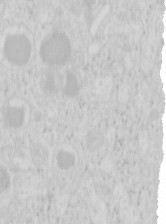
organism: Mouse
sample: Pancreas